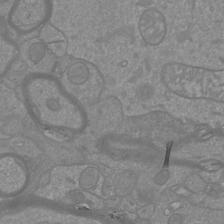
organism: Mouse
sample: Cortical neurons